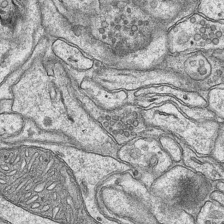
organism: Mouse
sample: CA1 Hippocampus